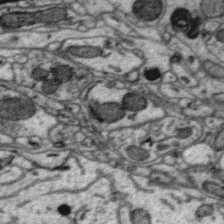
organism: Zebra finch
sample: Brain